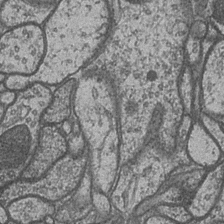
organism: Drosophila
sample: Optic medulla